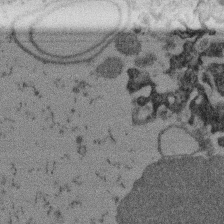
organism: Mouse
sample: Dividing mouse embryo 1 cell stage